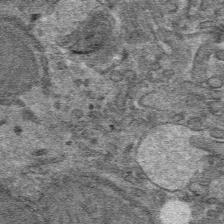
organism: Mouse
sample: Mouse hepatocytes